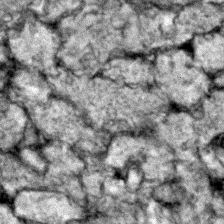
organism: Zebrafish